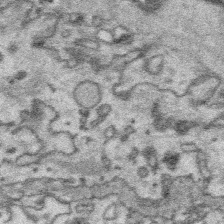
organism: Platynereis dumerilii